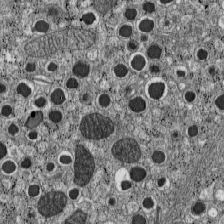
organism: C57BL Mouse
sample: Pancreatic islet